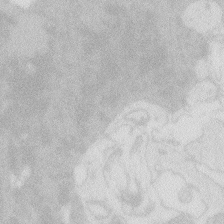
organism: Zebrafish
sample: Macrophage